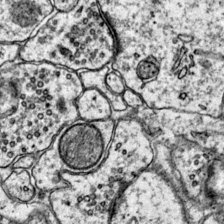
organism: Mouse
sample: Primary visual cortex